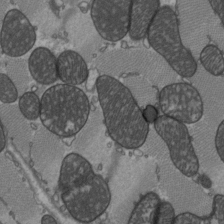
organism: C57BL Mouse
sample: Heart